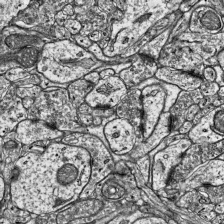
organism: Mouse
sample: Visual Cortex